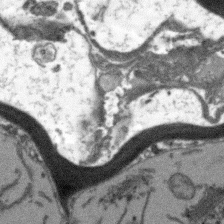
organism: Arabidopsis thaliana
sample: Root tip